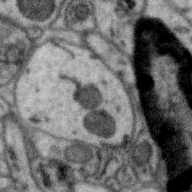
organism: Zebra finch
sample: Brain